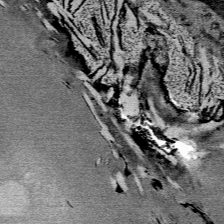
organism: Mouse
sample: Mouse Salivary gland